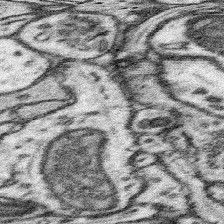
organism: Mouse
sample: Somatosensory cortex neuropil